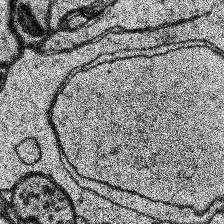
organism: Human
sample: Temporal Lobe